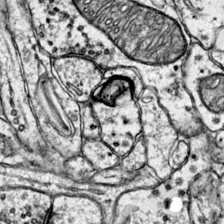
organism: Mouse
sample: Primary visual cortex